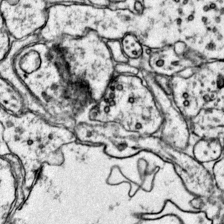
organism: Mouse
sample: Primary visual cortex